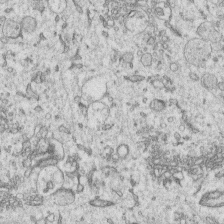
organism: Human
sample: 1205lu cells